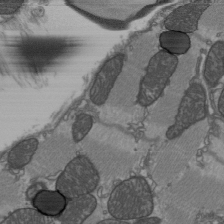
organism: C57BL Mouse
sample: Heart